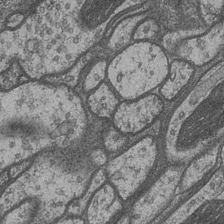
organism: Drosophila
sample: Optic medulla